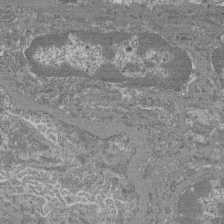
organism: Mouse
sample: Glomerulus